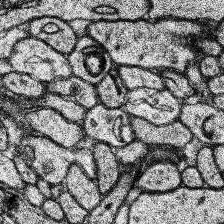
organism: Human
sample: Temporal Lobe